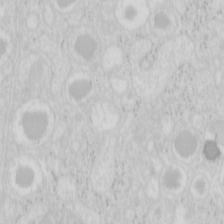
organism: Mouse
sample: Pancreas